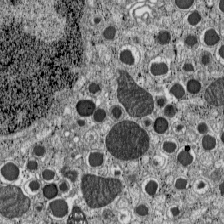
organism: C57BL Mouse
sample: Pancreatic islet